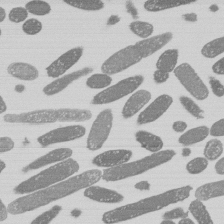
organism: E. coli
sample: Bacterial nucleoid